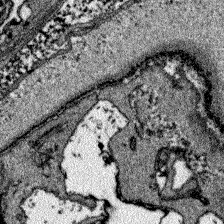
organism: Zebrafish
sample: Larval olfactory bulb